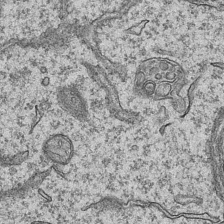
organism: Mouse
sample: CA1 Hippocampus